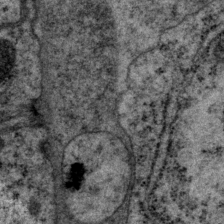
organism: P. pacificus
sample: Pharynx